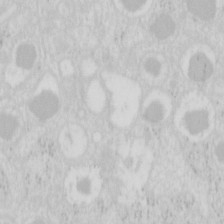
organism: Mouse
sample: Pancreas